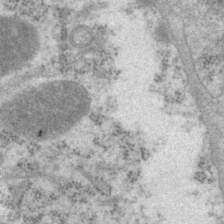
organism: P. pacificus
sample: Pharynx